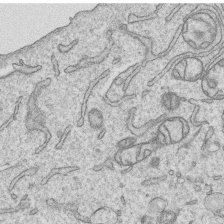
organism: Human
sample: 1205lu cells